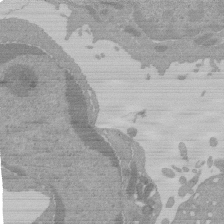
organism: Mouse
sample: Activated Pmel transgenic CD8+ T Cells